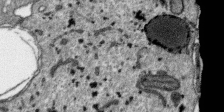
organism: Human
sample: Lung epithelial cells, uninfected (mock) control